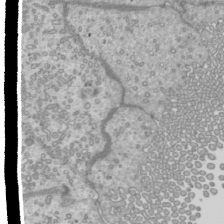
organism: Mouse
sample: Cilia; mouse epididymis